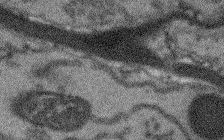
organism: Arabidopsis thaliana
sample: Root tip